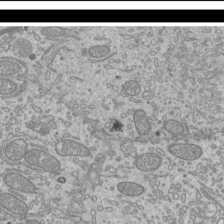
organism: Mouse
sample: Cilia; mouse epididymis